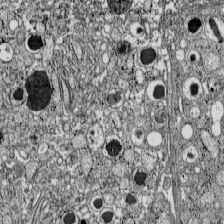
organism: C57BL Mouse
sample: Pancreatic islet